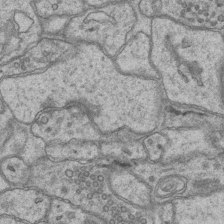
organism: Mouse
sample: CA1 Hippocampus